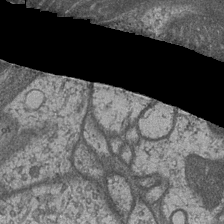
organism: Drosophila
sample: Optic medulla